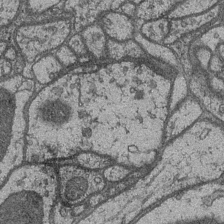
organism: Drosophila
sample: Optic medulla